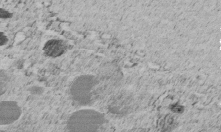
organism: C. elegans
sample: C. elegans embryo early stage